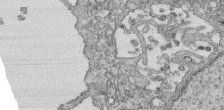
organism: Human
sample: HeLa cell HIV synapse